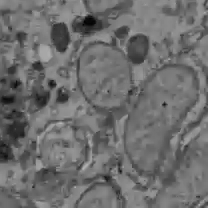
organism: C57BL Mouse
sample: Liver